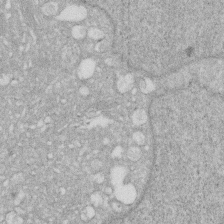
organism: Human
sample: HIV infected U937 cells